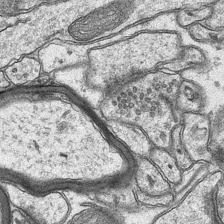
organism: Mouse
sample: CA1 Hippocampus